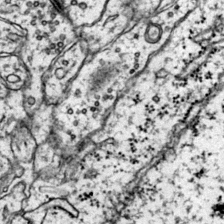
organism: Mouse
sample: Primary visual cortex